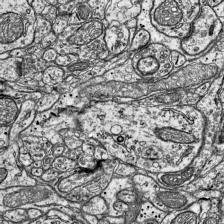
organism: Mouse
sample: Visual Cortex